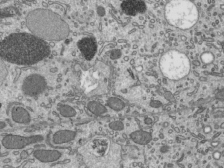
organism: Mouse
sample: Mouse epididymis efferent ductule cilia